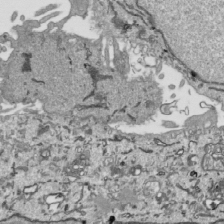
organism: Human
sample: Mitochondria in HCT116 cells